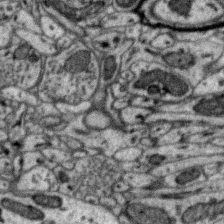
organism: Zebra finch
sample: Brain